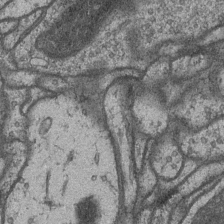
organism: Drosophila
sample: Optic medulla